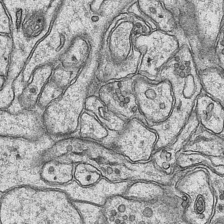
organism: Mouse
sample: CA1 Hippocampus